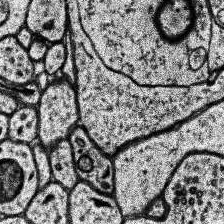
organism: Human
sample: Temporal Lobe